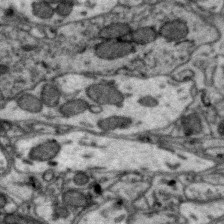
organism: Zebra finch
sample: Brain